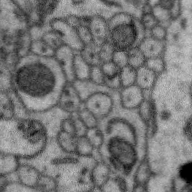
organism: Zebra finch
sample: Brain